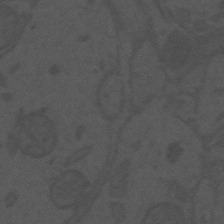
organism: Mouse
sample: Suprachiasmatic nucleus